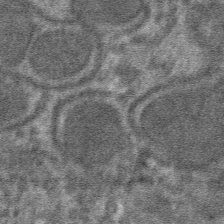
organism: Mouse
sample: Mouse hepatocytes